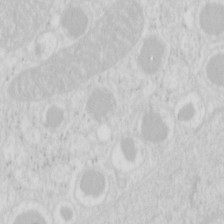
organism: Mouse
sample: Pancreas